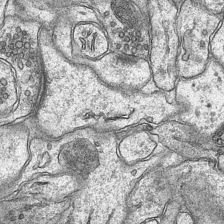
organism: Mouse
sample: CA1 Hippocampus